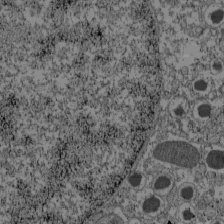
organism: C57BL Mouse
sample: Pancreatic islet